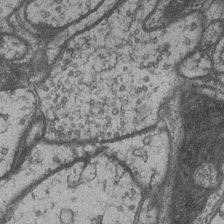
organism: Drosophila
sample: Optic medulla